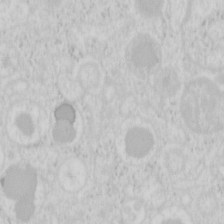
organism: Mouse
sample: Pancreas